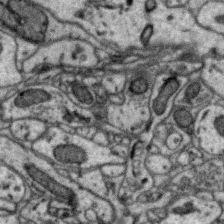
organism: Zebra finch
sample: Brain